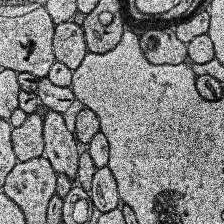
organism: Human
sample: Temporal Lobe